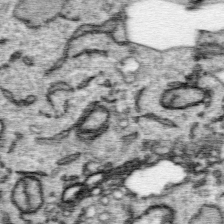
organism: Human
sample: HeLa cells